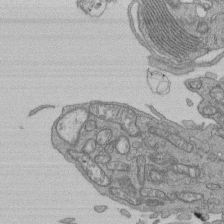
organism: Human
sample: Retinal organoid Rod and Cone cells